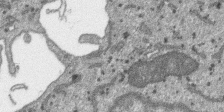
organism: Human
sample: Lung epithelial cells infected with SARS-CoV-2